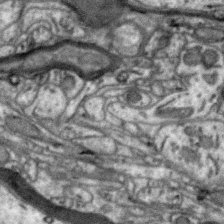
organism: Zebra finch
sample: Brain